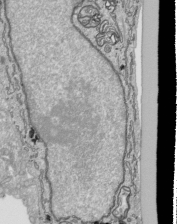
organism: Human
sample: Mitochondria in HCT116 cells